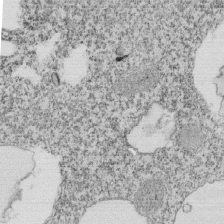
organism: Tetrahymena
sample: Cilia in tetrahymena